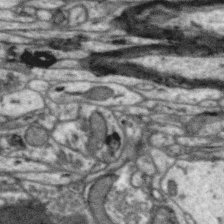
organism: Zebra finch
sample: Brain